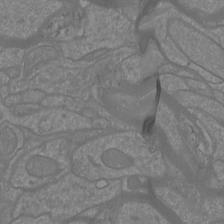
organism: Mouse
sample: Cortical neurons